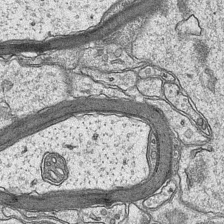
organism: Mouse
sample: CA1 Hippocampus